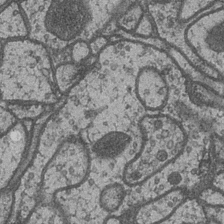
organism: Drosophila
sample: Optic medulla